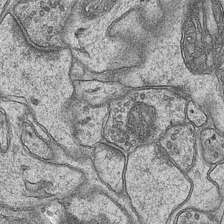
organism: Mouse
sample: CA1 Hippocampus